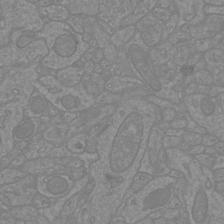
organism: Mouse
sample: Cortical neurons